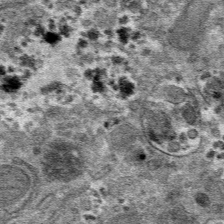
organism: Mouse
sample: Mouse hepatocytes